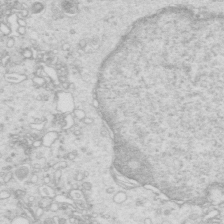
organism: Mouse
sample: Multiciliated cells